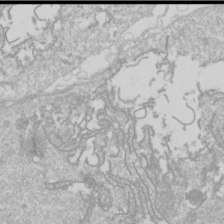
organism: Drosophila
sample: Cell division; meiosis; drosophila spermatocytes